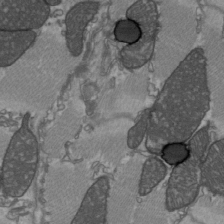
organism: C57BL Mouse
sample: Heart